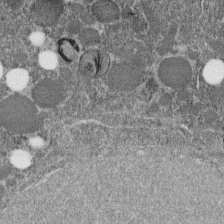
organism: C. elegans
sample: C. elegans embryo early stage